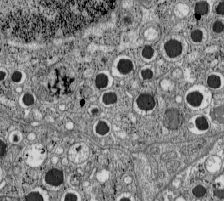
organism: C57BL Mouse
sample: Pancreatic islet